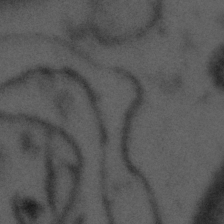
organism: Tuwongella immobilis